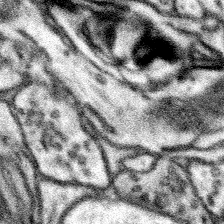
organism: Mouse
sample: Somatosensory cortex neuropil